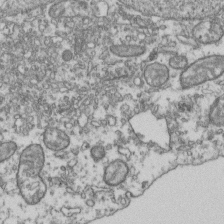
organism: Human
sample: Activated Jurkat CD4+ T cells